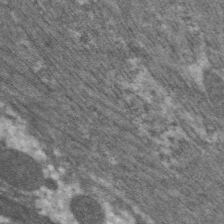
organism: C. elegans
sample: Pharynx